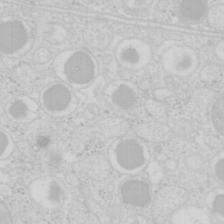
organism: Mouse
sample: Pancreas